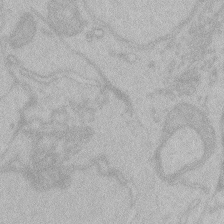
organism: Zebrafish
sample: Macrophage infected with Toxoplasma gondii